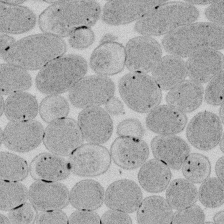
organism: E. coli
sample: Bacterial nucleoid